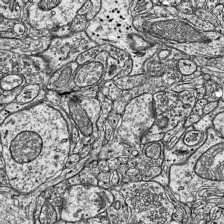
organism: Mouse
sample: Visual Cortex